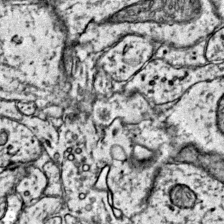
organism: Mouse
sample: Primary visual cortex